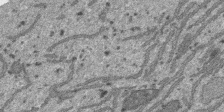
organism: Human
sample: Lung epithelial cells infected with SARS-CoV-2